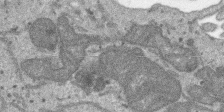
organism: Human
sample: Lung epithelial cells infected with SARS-CoV-2